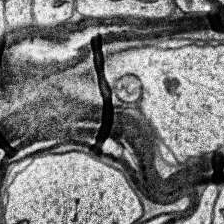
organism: Human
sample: Temporal Lobe